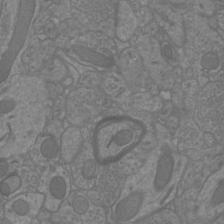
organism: Mouse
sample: Cortical neurons